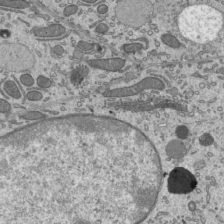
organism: Mouse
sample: Mouse epididymis efferent ductule cilia